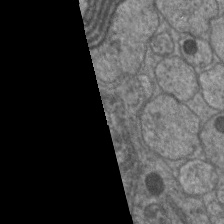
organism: C. elegans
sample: Pharynx